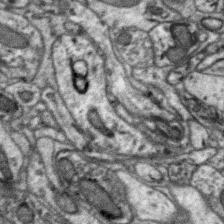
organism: Zebra finch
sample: Brain